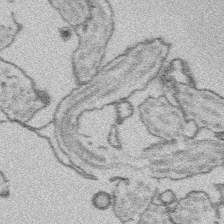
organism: Platynereis dumerilii